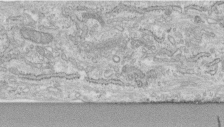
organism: Human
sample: Centriole in fibroblast cells